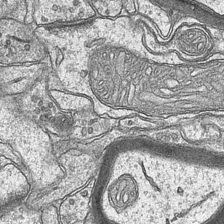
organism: Mouse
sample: CA1 Hippocampus